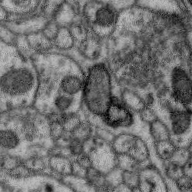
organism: Zebra finch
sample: Brain